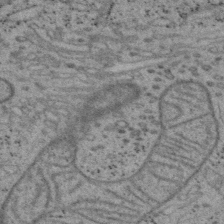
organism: Human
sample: HeLa cells